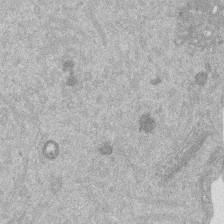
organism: Mouse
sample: Dividing mouse embryo 1 cell stage